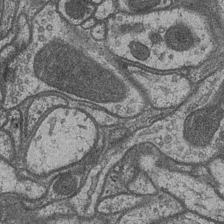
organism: Drosophila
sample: Optic medulla